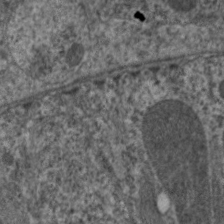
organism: C. elegans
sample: Pharynx